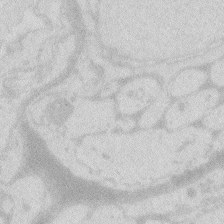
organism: Zebrafish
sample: Macrophage